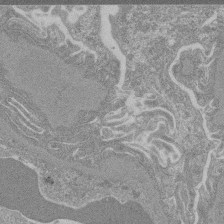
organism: Mouse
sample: Glomerulus